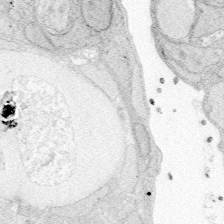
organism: Zebrafish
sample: Whole-Brain